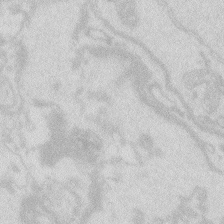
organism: Zebrafish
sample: Macrophage